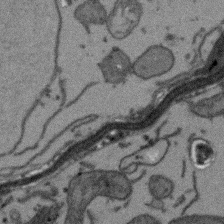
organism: Arabidopsis thaliana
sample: Root tip